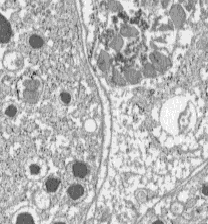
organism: C57BL Mouse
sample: Pancreatic islet